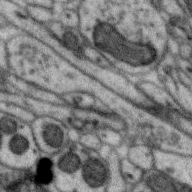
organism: Zebra finch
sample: Brain